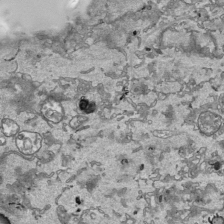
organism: Human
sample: Mitochondria in HCT116 cells